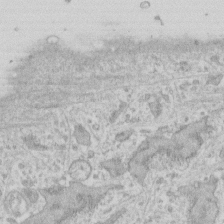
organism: Human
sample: Fibroblast cells